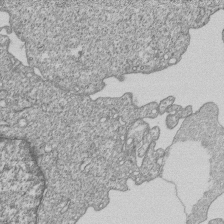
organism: Human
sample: MDA-MB-231 cells